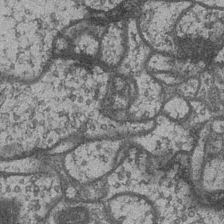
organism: Drosophila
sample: Optic medulla